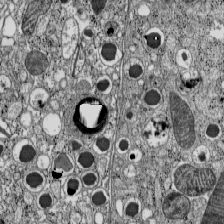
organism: C57BL Mouse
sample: Pancreatic islet